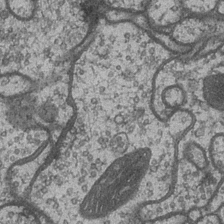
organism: Drosophila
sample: Optic medulla